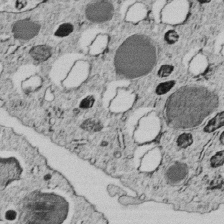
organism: C. elegans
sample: C. elegans embryo early stage